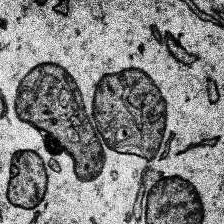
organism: Human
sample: Temporal Lobe